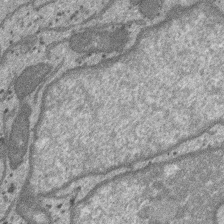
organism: Human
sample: Lung epithelial cells infected with SARS-CoV-2